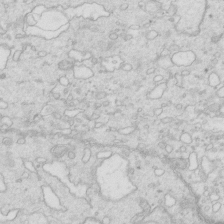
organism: Mouse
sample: Multiciliated cells